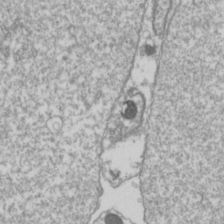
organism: Drosophila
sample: Cell division; meiosis; drosophila spermatocytes